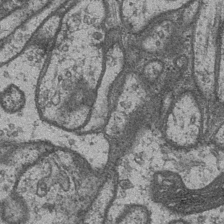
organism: Drosophila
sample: Optic medulla